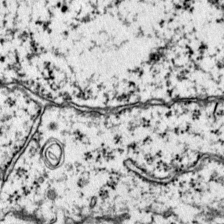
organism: Mouse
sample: Primary visual cortex